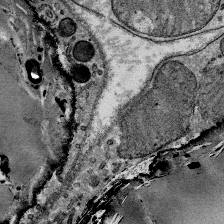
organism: Mouse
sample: Mouse Salivary gland